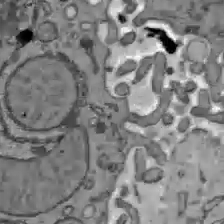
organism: C57BL Mouse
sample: Liver